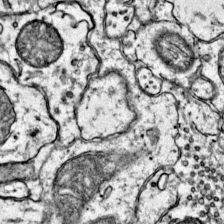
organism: Mouse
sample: Primary visual cortex